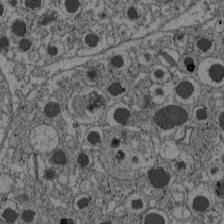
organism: C57BL Mouse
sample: Pancreatic islet